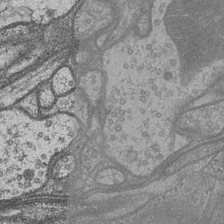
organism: Drosophila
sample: Optic medulla